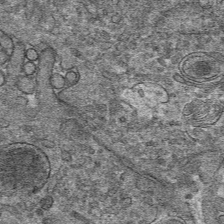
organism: Mouse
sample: Mouse hepatocytes